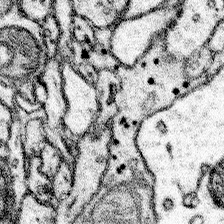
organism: Mouse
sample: Somatosensory cortex neuropil